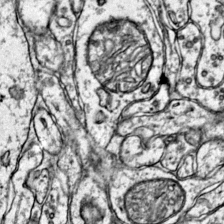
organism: Mouse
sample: Primary visual cortex